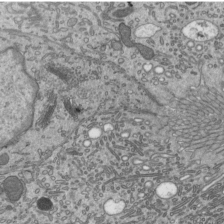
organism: Mouse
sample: Mouse epididymis efferent ductule cilia